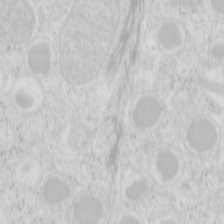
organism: Mouse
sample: Pancreas